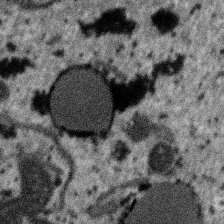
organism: Human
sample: Lung epithelial cells infected with SARS-CoV-2